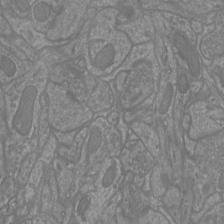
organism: Mouse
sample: Cortical neurons